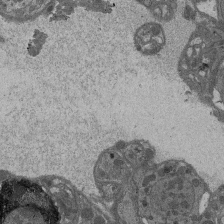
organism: Drosophila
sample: Antenna